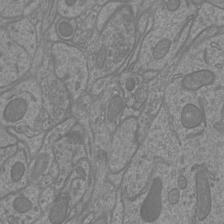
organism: Mouse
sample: Cortical neurons